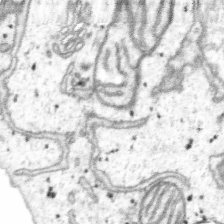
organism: Human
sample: HeLa cells